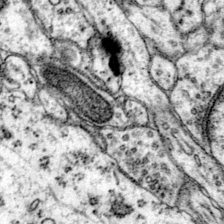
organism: Mouse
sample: Primary visual cortex